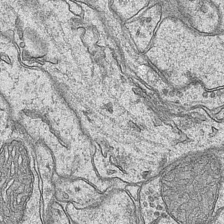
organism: Mouse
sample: CA1 Hippocampus